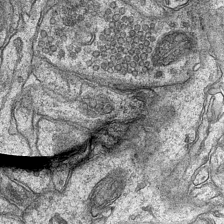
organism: Mouse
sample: CA1 Hippocampus